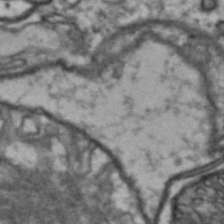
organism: Drosophila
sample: Brain